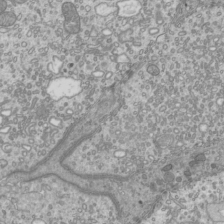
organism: Mouse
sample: Cilia; mouse epididymis